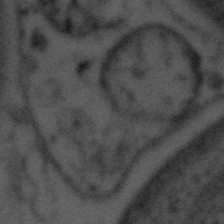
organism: Tuwongella immobilis